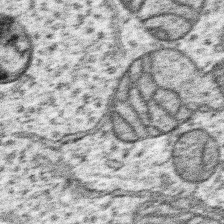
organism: Human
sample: HeLa cells